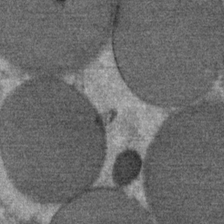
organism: Mouse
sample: Mouse Salivary gland